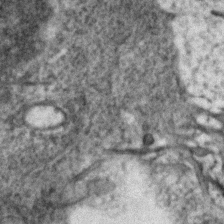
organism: Zebrafish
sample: Zebrafish embryo